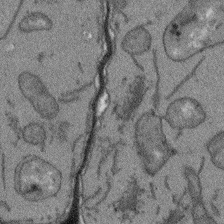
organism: Arabidopsis thaliana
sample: Root tip